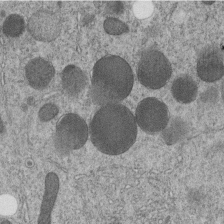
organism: C. elegans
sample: C. elegans embryo early stage